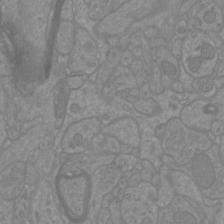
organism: Mouse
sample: Cortical neurons